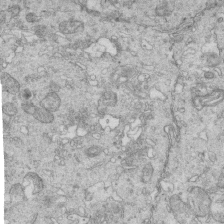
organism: Mouse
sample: Multiciliated cells